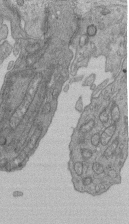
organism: Human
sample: Retinal organoid Rod and Cone cells